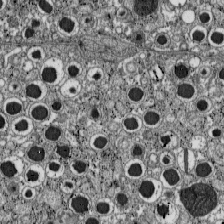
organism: C57BL Mouse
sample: Pancreatic islet